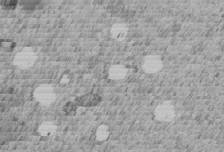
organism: C. elegans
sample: C. elegans embryo early stage